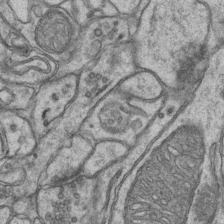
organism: Mouse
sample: CA1 Hippocampus